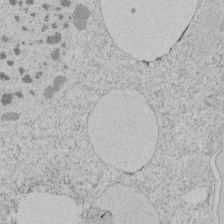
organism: Tetrahymena